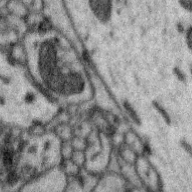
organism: Zebra finch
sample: Brain